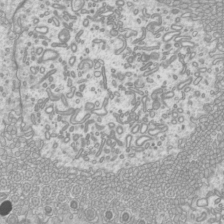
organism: Mouse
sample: Cilia; mouse epididymis